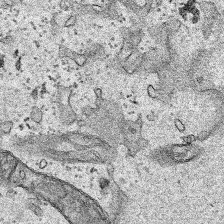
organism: Human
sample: Mitochondria in HCT116 cells